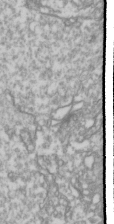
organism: Drosophila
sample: Cell division; meiosis; drosophila spermatocytes